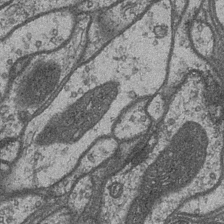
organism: Drosophila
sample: Optic medulla